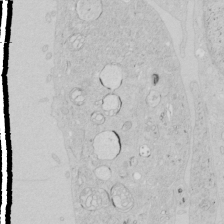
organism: Human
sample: Mitochondria in HCT116 cells